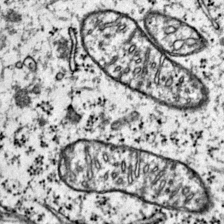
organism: Mouse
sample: Primary visual cortex